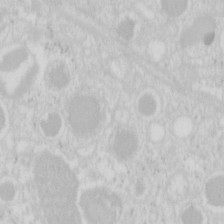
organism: Mouse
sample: Pancreas